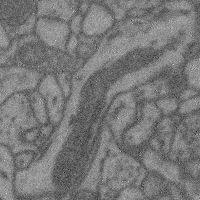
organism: Mouse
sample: Cerebral cortex